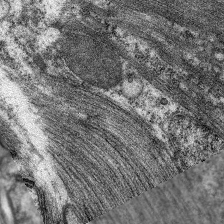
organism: C. elegans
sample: Pharynx